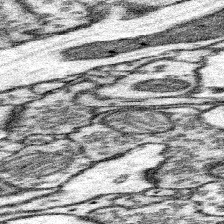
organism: Mouse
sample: Somatosensory cortex neuropil